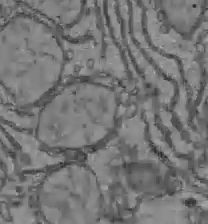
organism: C57BL Mouse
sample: Liver